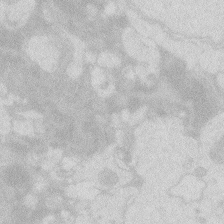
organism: Zebrafish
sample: Macrophage